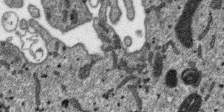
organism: Human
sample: Lung epithelial cells infected with SARS-CoV-2